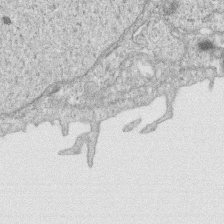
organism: Human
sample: HeLa cell HIV synapse